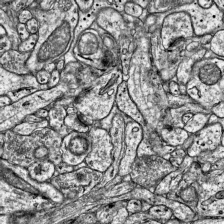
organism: Mouse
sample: Visual Cortex